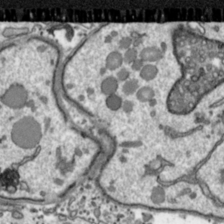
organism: Toxoplasma gondii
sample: Parasites in a vacuole inside a host cell